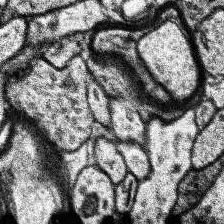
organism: Human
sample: Temporal Lobe